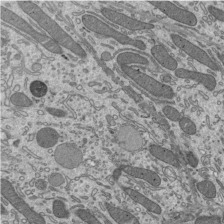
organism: Mouse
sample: Mouse epididymis efferent ductule cilia